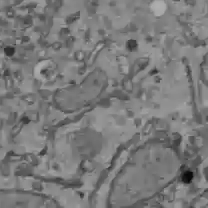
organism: C57BL Mouse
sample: Liver